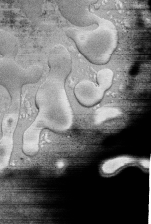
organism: Human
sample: Retinal organoid Rod and Cone cells